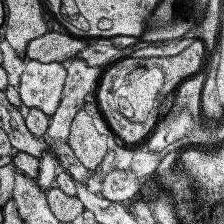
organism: Human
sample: Temporal Lobe